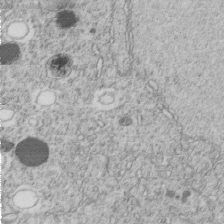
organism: C. elegans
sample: C. elegans embryo early stage